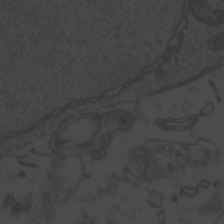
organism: Zebrafish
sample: Macrophage infected with Toxoplasma gondii